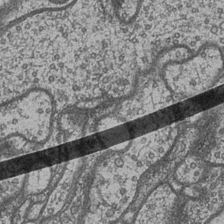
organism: Drosophila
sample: Optic medulla